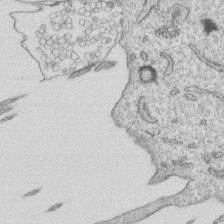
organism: Human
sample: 1205lu cells